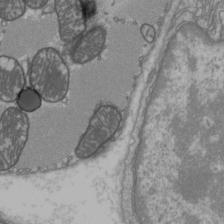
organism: C57BL Mouse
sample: Heart